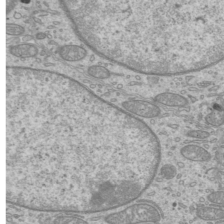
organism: Mouse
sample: Cilia; mouse epididymis